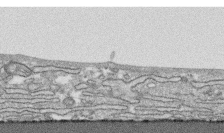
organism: Human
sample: CRL-1474